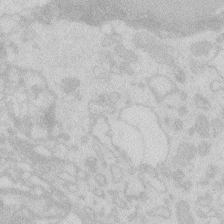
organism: Zebrafish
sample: Macrophage